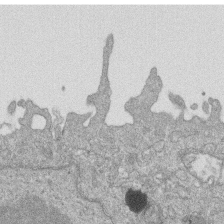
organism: Human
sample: HeLa cell HIV synapse